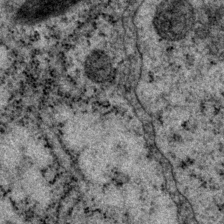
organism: P. pacificus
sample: Pharynx